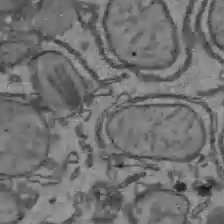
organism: C57BL Mouse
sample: Liver